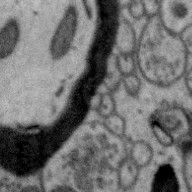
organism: Zebra finch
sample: Brain